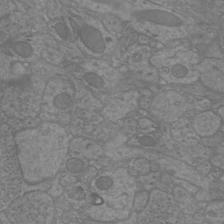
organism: Mouse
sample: Cortical neurons